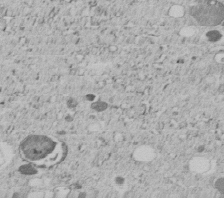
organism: C. elegans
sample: C. elegans embryo early stage